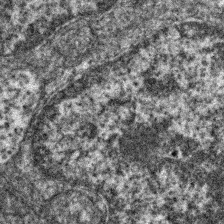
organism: Zebrafish